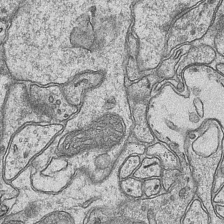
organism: Mouse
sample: CA1 Hippocampus